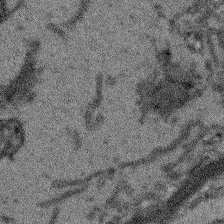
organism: Arabidopsis thaliana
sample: Root tip